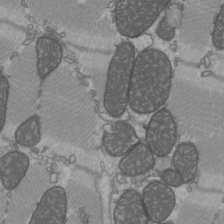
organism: C57BL Mouse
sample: Heart